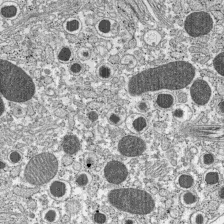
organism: C57BL Mouse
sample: Pancreatic islet